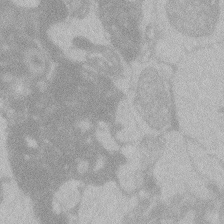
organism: Zebrafish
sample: Macrophage infected with Toxoplasma gondii